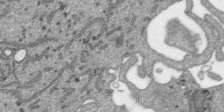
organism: Human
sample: Lung epithelial cells infected with SARS-CoV-2